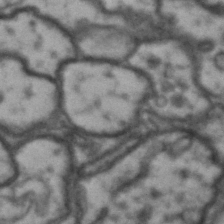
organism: Drosophila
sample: Brain